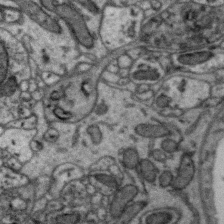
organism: Zebra finch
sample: Brain